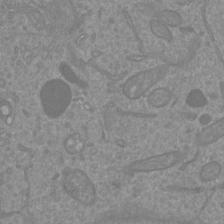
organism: Mouse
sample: Cortical neurons